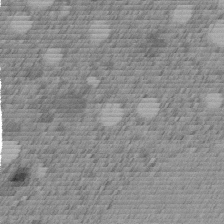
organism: C. elegans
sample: C. elegans embryo early stage